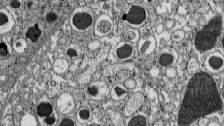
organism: C57BL Mouse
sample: Pancreatic islet